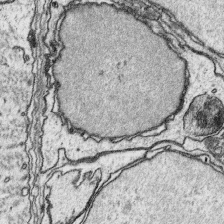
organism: Platynereis dumerilii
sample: Parapodia